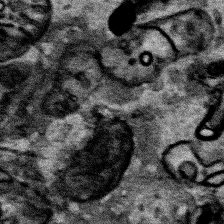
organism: Human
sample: Mitochondria in HCT116 cells